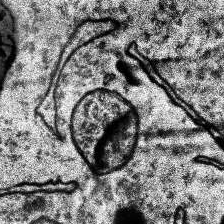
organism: Human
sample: Temporal Lobe